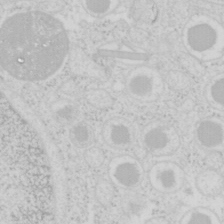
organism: Mouse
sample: Pancreas